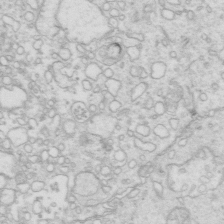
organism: Mouse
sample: Multiciliated cells